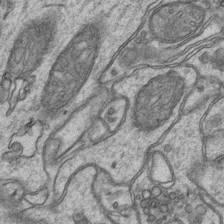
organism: Mouse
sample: CA1 Hippocampus